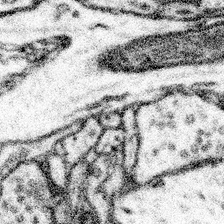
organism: Mouse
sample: Somatosensory cortex neuropil